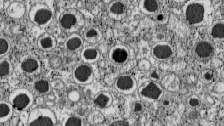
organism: C57BL Mouse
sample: Pancreatic islet